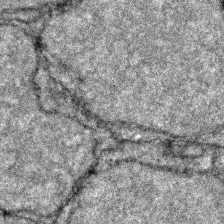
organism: Zebrafish